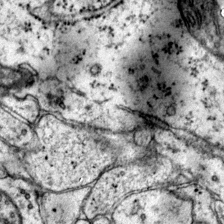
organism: Mouse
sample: Primary visual cortex